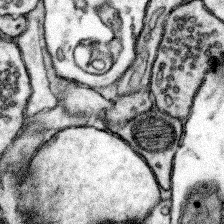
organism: Mouse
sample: Somatosensory cortex neuropil